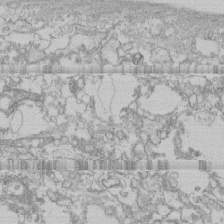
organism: Human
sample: CRL-1474